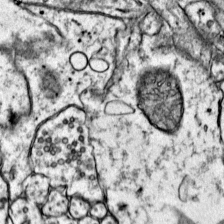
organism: Mouse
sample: Primary visual cortex